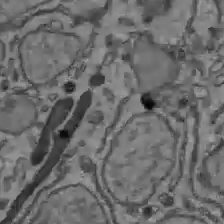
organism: C57BL Mouse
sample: Liver